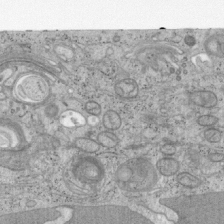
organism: Human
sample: HeLa cells